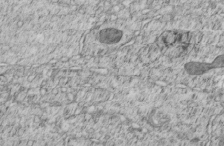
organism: C. elegans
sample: C. elegans embryo early stage